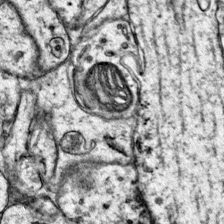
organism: Mouse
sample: Primary visual cortex